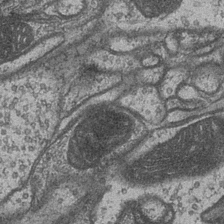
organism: Drosophila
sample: Optic medulla